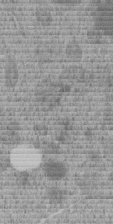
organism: C. elegans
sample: C. elegans embryo early stage